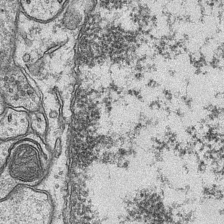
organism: Mouse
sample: CA1 Hippocampus